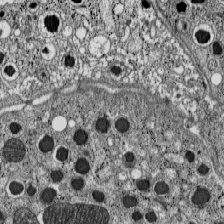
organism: C57BL Mouse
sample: Pancreatic islet